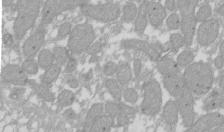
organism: Xenopus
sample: Cilia; centrioles in frog embryo cells